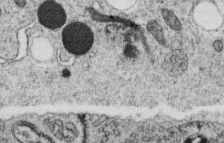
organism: C. elegans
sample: C. elegans oocyte; sperm cells